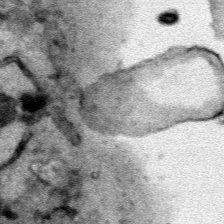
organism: Human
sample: Mitochondria in HCT116 cells